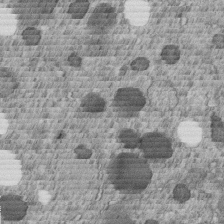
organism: C. elegans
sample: C. elegans embryo early stage